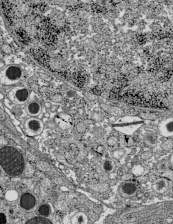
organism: C57BL Mouse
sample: Pancreatic islet